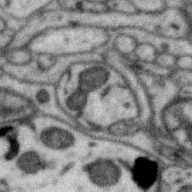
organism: Zebra finch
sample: Brain